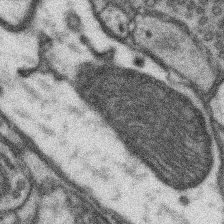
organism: Mouse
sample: Somatosensory cortex neuropil